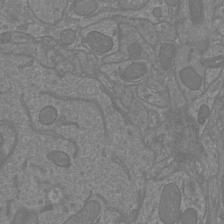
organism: Mouse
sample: Cortical neurons